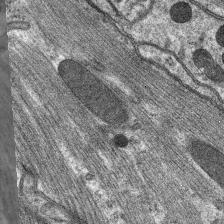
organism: C. elegans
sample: Pharynx